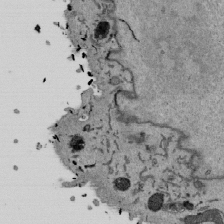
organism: Mouse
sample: ED-1 cell nuclei; centrioles